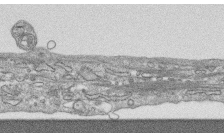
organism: Human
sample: CRL-1474